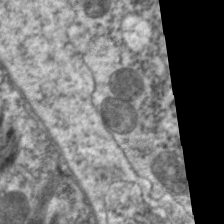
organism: C. elegans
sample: Pharynx